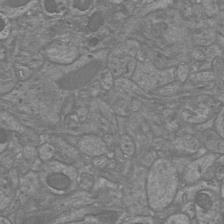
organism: Mouse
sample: Cortical neurons